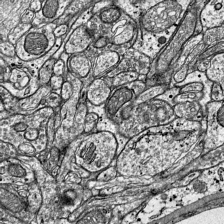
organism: Mouse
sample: Visual Cortex